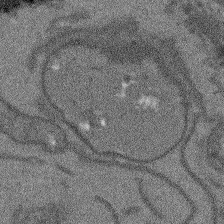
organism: Arabidopsis thaliana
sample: Root tip